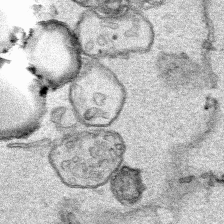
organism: Human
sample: Mitochondria in HCT116 cells